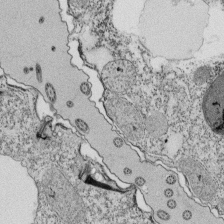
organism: Tetrahymena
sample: Cilia in tetrahymena